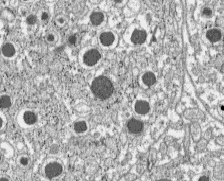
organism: C57BL Mouse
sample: Pancreatic islet